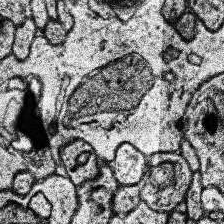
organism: Human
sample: Temporal Lobe